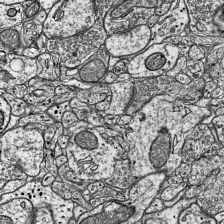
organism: Mouse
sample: Visual Cortex